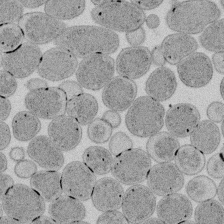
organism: E. coli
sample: Bacterial nucleoid